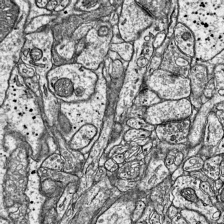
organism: Mouse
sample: Visual Cortex